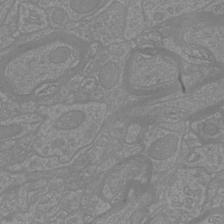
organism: Mouse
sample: Cortical neurons